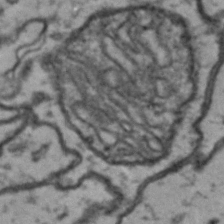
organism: Drosophila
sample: Brain